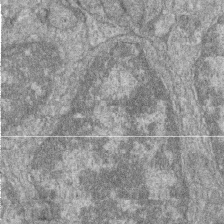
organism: Zebrafish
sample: Cilia; retinal pigment epithelium